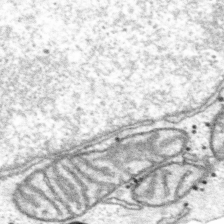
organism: Human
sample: HeLa cells